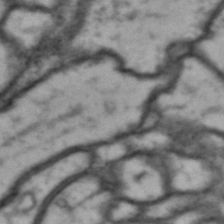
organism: Drosophila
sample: Brain